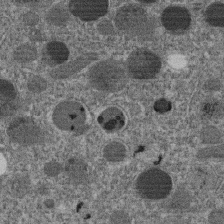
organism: C. elegans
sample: C. elegans embryo early stage